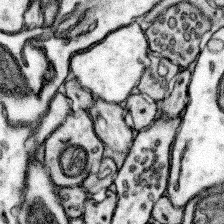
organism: Mouse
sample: Somatosensory cortex neuropil